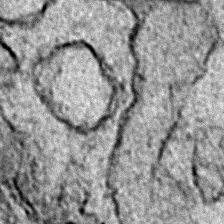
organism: Zebrafish